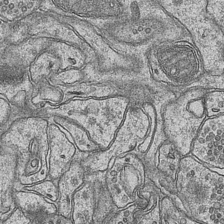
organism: Mouse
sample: CA1 Hippocampus